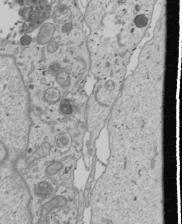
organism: Human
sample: Mitochondria in U2OS cells